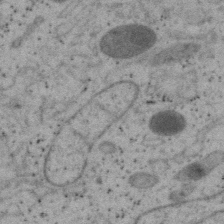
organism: Human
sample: HeLa cells